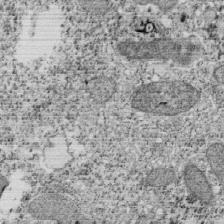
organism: Tetrahymena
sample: Cilia in tetrahymena